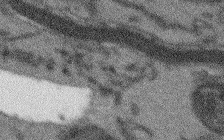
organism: Arabidopsis thaliana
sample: Root tip